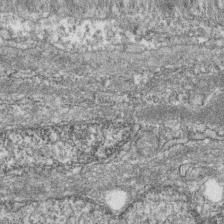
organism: Zebrafish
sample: Cilia; retinal pigment epithelium